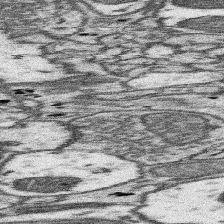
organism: Mouse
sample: Somatosensory cortex neuropil